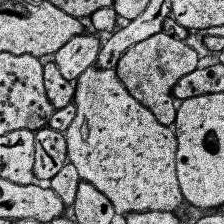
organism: Human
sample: Temporal Lobe